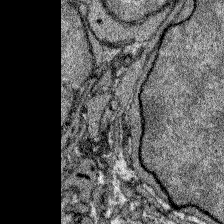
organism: Zebrafish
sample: Larval olfactory bulb